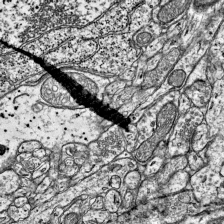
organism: Mouse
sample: Visual Cortex